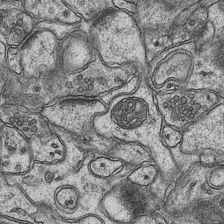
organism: Mouse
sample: CA1 Hippocampus